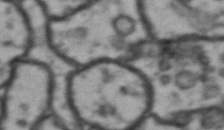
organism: Drosophila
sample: Brain